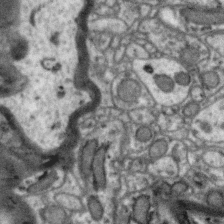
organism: Zebra finch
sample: Brain